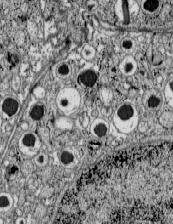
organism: C57BL Mouse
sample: Pancreatic islet